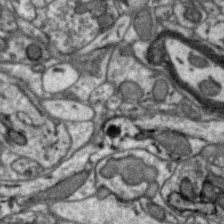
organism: Zebra finch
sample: Brain